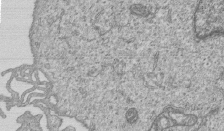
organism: Human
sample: MDA-MB-231 cells